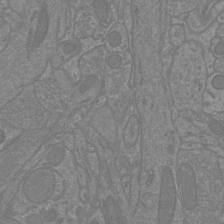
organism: Mouse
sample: Cortical neurons